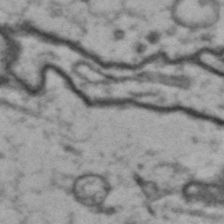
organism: Drosophila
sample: Brain